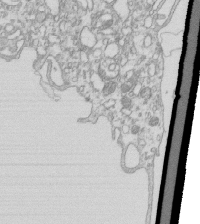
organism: Mouse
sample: Macrophages